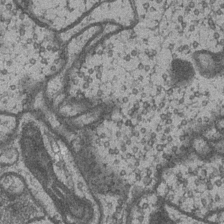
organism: Drosophila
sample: Optic medulla